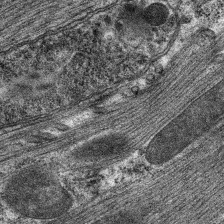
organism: C. elegans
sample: Pharynx